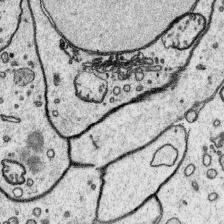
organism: Platynereis dumerilii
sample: Parapodia